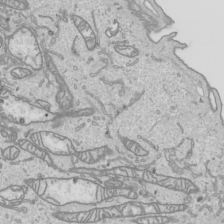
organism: Human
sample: Mitochondria in HCT116 cells